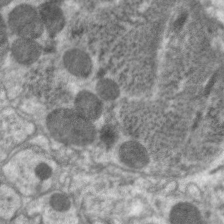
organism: C. elegans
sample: Pharynx